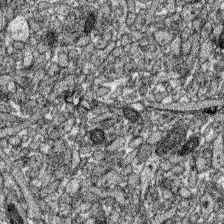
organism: Zebrafish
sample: Larval olfactory bulb